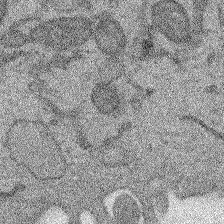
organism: Human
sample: HeLa cells